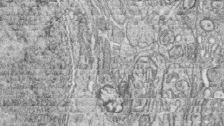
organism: Zebrafish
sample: synaptic ribbons in rod cells and cone cells